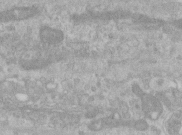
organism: Human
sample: Centriole in RPE cells